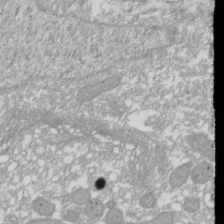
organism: Xenopus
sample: Cilia; centrioles in frog embryo cells